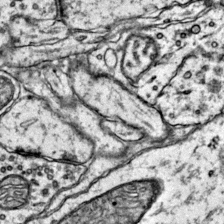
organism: Mouse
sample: Primary visual cortex